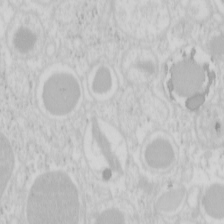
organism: Mouse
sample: Pancreas